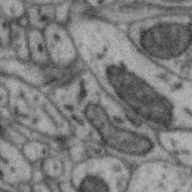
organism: Zebra finch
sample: Brain